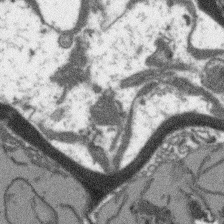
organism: Arabidopsis thaliana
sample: Root tip